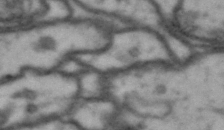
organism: Drosophila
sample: Brain